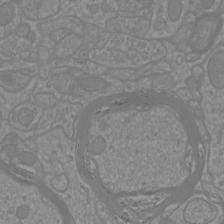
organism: Mouse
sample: Cortical neurons